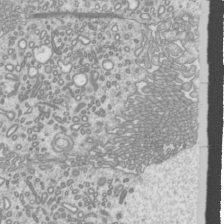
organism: Mouse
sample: Cilia; mouse epididymis